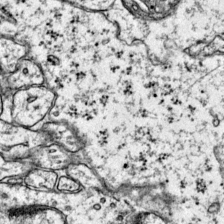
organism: Mouse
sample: Primary visual cortex